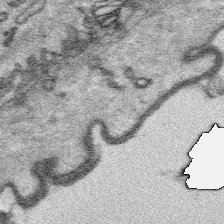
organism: Platynereis dumerilii